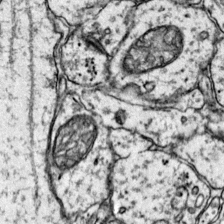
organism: Mouse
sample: Primary visual cortex